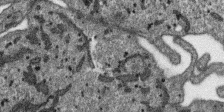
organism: Human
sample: Lung epithelial cells infected with SARS-CoV-2